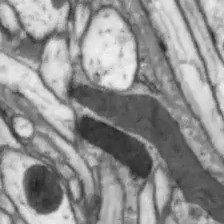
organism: Drosophila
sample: Optic lobe